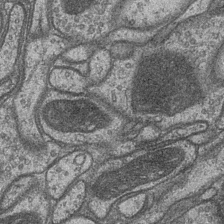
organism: Drosophila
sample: Optic medulla